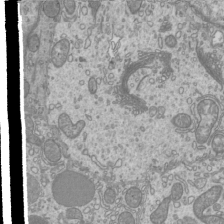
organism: Mouse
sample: Cilia; mouse epididymis